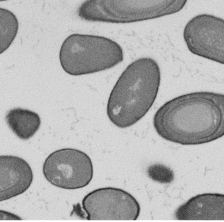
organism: B. subtilis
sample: Bacterial spore